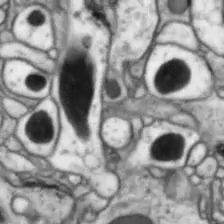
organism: Drosophila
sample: Optic lobe